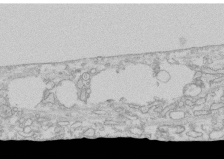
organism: Human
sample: CRL-1474